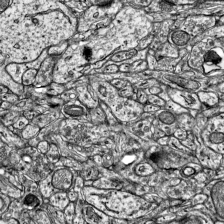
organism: Mouse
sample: Visual Cortex